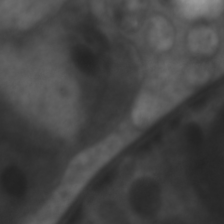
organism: C. elegans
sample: Pharynx